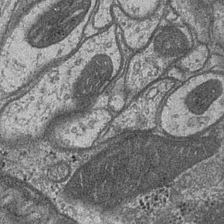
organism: Drosophila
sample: Optic medulla